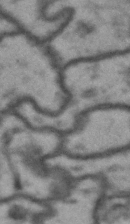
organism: Drosophila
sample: Brain